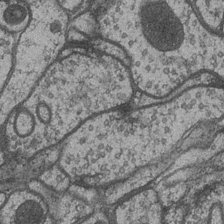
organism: Drosophila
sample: Optic medulla